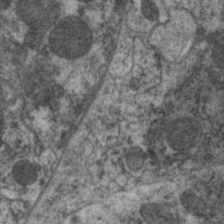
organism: C. elegans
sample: Pharynx